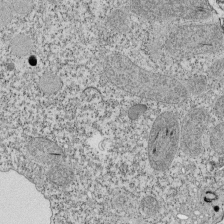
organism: Tetrahymena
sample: Cilia in tetrahymena